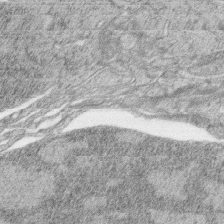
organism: Zebrafish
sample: synaptic ribbons in rod cells and cone cells